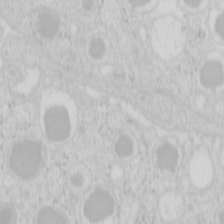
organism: Mouse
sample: Pancreas